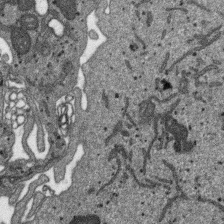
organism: Human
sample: Lung epithelial cells infected with SARS-CoV-2